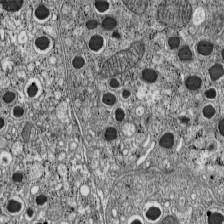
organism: C57BL Mouse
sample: Pancreatic islet